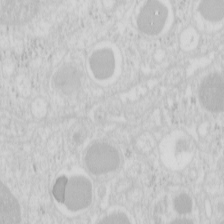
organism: Mouse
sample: Pancreas